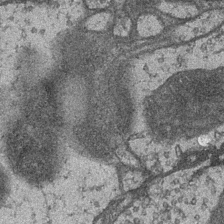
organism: Drosophila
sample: Optic medulla